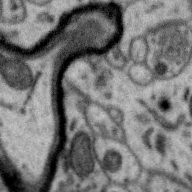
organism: Zebra finch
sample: Brain